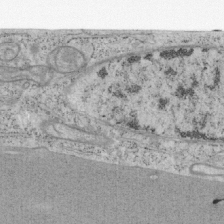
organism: Human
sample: HeLa cells